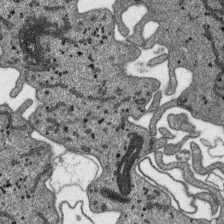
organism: Human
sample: Lung epithelial cells infected with SARS-CoV-2